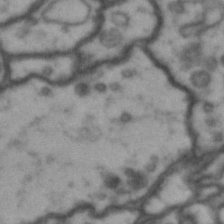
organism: Drosophila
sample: Brain